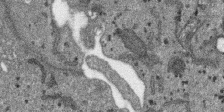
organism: Human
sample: Lung epithelial cells infected with SARS-CoV-2